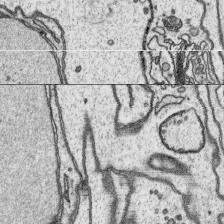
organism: Platynereis dumerilii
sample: Parapodia